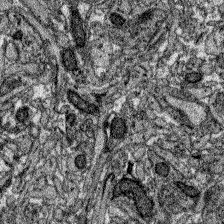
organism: Zebrafish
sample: Larval olfactory bulb